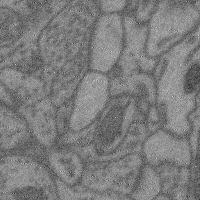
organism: Mouse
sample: Cerebral cortex